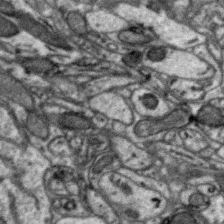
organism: Zebra finch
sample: Brain